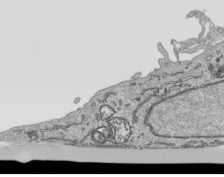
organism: Human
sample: Mitochondria in HCT116 cells